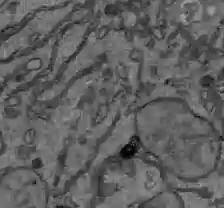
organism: C57BL Mouse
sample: Liver